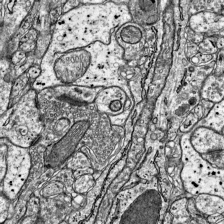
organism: Mouse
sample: Visual Cortex